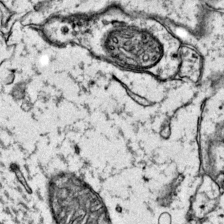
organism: Mouse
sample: Primary visual cortex